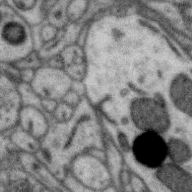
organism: Zebra finch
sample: Brain